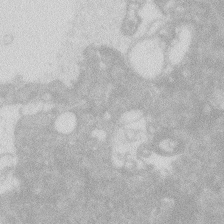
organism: Zebrafish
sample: Macrophage